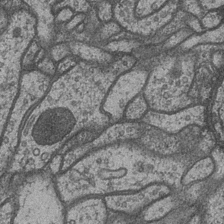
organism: Drosophila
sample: Optic medulla